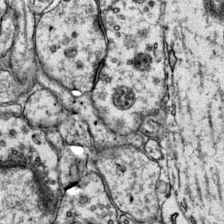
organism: Mouse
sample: Primary visual cortex